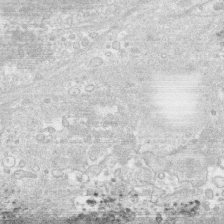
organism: Human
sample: CRL-1474